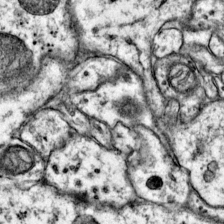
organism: Mouse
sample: Primary visual cortex